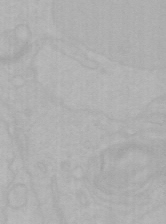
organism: Mouse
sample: Choroid plexus